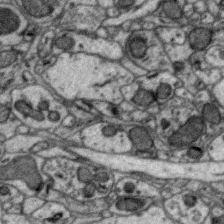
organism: Zebra finch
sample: Brain